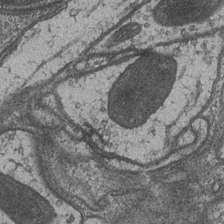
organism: Drosophila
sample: Optic medulla